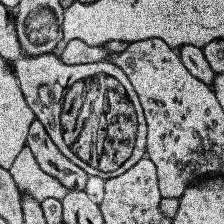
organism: Human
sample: Temporal Lobe